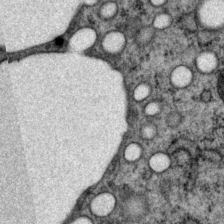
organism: P. pacificus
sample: Pharynx